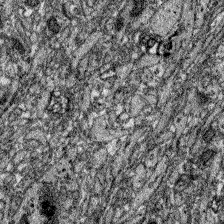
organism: Zebrafish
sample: Larval olfactory bulb